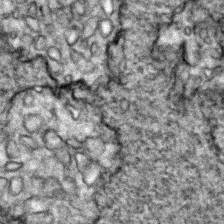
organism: Zebrafish